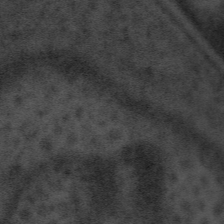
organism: Tuwongella immobilis